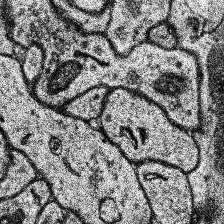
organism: Human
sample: Temporal Lobe